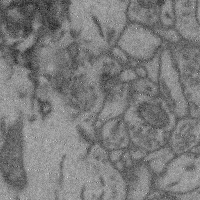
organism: Mouse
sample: Cerebral cortex